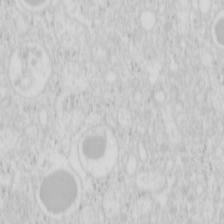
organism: Mouse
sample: Pancreas